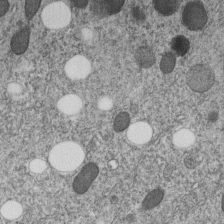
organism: C. elegans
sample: C. elegans embryo early stage